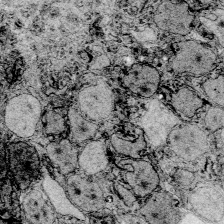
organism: Zebrafish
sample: Whole-Brain